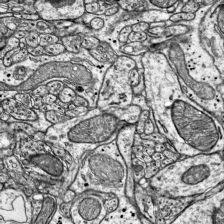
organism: Mouse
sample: Visual Cortex